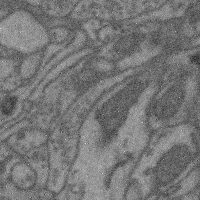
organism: Mouse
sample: Cerebral cortex